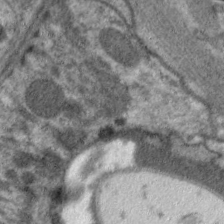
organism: C. elegans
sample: Pharynx